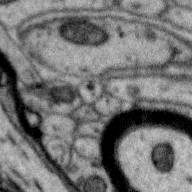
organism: Zebra finch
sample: Brain